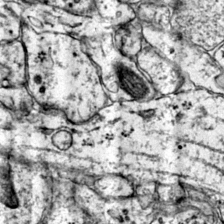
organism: Mouse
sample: Primary visual cortex